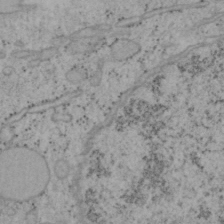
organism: Human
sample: HeLa cells